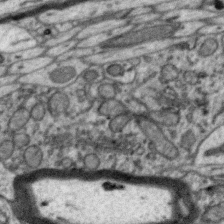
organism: Zebra finch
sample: Brain